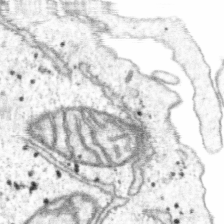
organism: Human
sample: HeLa cells